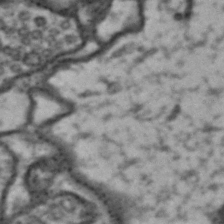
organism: Drosophila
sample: Brain